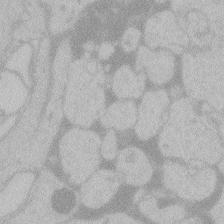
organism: Zebrafish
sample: Macrophage infected with Toxoplasma gondii